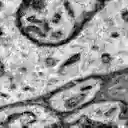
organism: Zebrafish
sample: Brain